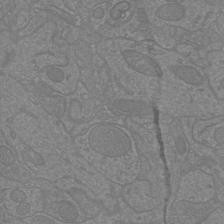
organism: Mouse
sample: Cortical neurons